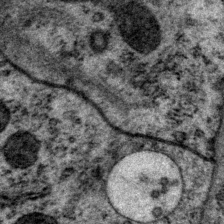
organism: P. pacificus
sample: Pharynx